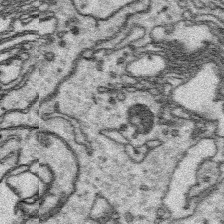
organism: Platynereis dumerilii